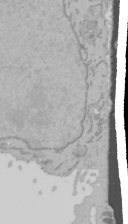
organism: Mouse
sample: Cancer cell death in ED-1 cells